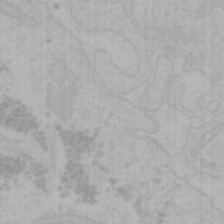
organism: Mouse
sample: Choroid plexus